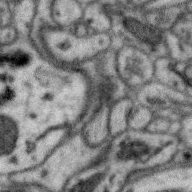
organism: Zebra finch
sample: Brain